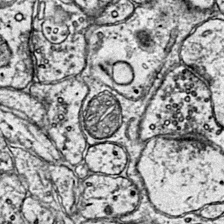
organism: Mouse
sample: Primary visual cortex